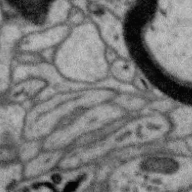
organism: Zebra finch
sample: Brain